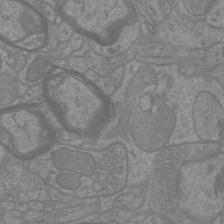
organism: Mouse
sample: Cortical neurons